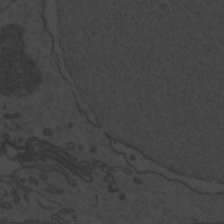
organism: Zebrafish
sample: Macrophage infected with Toxoplasma gondii